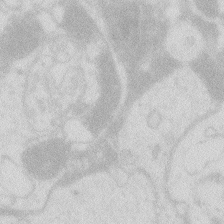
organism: Zebrafish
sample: Macrophage